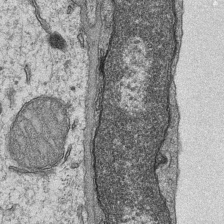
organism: Mouse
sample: CA1 Hippocampus